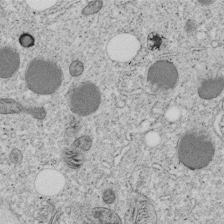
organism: C. elegans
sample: C. elegans embryo early stage